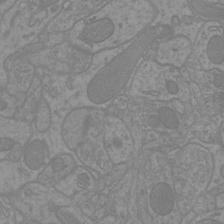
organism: Mouse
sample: Cortical neurons